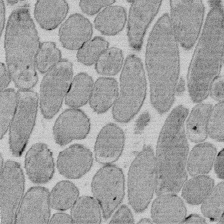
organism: E. coli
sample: Bacterial nucleoid